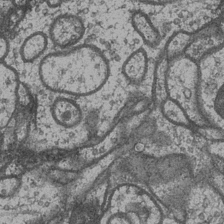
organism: Drosophila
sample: Optic medulla